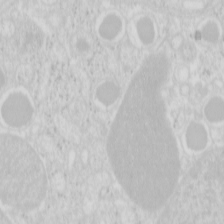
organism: Mouse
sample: Pancreas